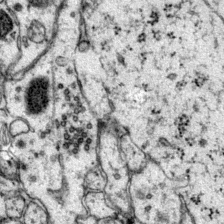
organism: Mouse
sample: Primary visual cortex